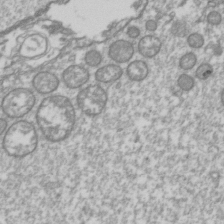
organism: Drosophila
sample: Cell division; meiosis; drosophila spermatocytes